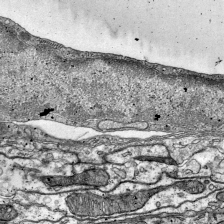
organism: Mouse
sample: Visual Cortex